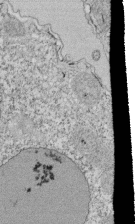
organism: Tetrahymena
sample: Cilia in tetrahymena